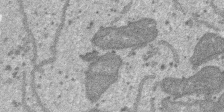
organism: Human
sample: Lung epithelial cells infected with SARS-CoV-2